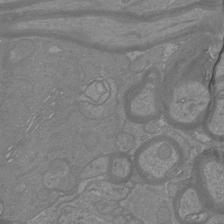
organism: Mouse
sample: Cortical neurons